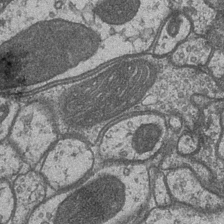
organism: Drosophila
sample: Optic medulla